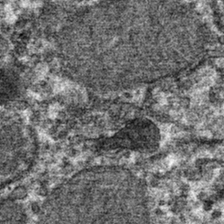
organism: Mouse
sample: Mouse hepatocytes